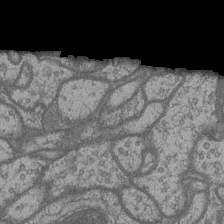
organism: Drosophila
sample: Optic medulla